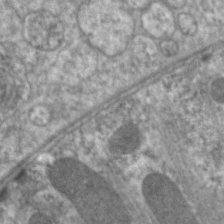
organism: C. elegans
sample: Pharynx